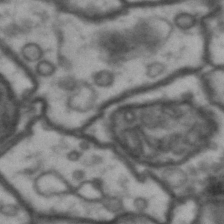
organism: Drosophila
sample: Brain